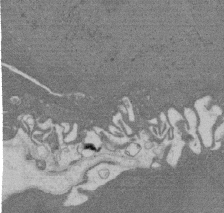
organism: Rat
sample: Salivary granule